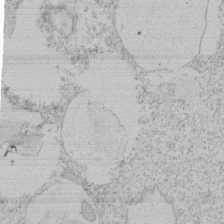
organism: Tetrahymena